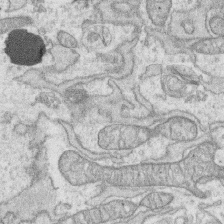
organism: Human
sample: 1205lu cells